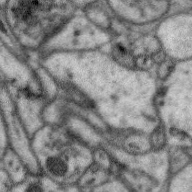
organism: Zebra finch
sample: Brain